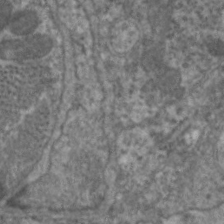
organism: C. elegans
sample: Pharynx